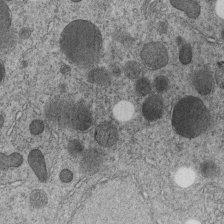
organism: C. elegans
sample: C. elegans embryo early stage